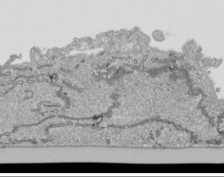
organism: Human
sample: Mitochondria in HCT116 cells